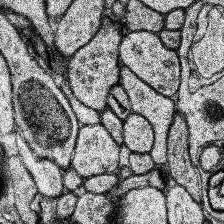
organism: Human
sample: Temporal Lobe